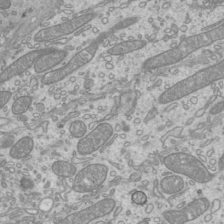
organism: Mouse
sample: Cilia; mouse epididymis